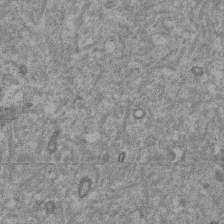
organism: Mouse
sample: Dividing mouse embryo 1 cell stage